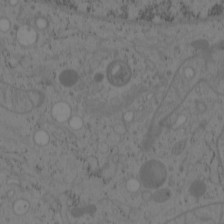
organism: Human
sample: HeLa cells